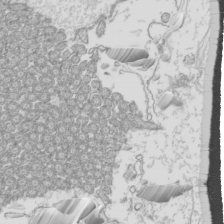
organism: Mouse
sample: Cilia; mouse epididymis